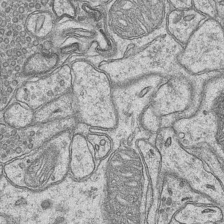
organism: Mouse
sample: CA1 Hippocampus